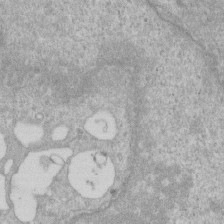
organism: Human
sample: Centriole in RPE cells